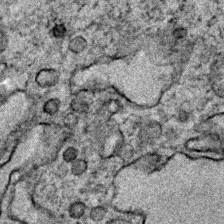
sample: Trachea